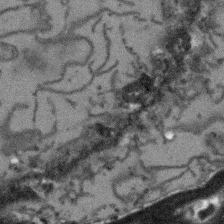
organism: Arabidopsis thaliana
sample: Root tip